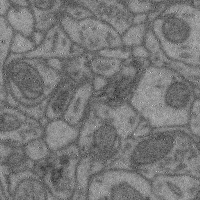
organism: Mouse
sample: Cerebral cortex